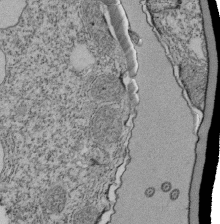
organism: Tetrahymena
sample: Cilia in tetrahymena